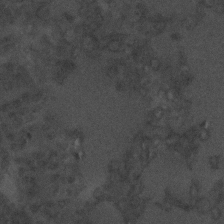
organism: C. elegans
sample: C. elegans embryo